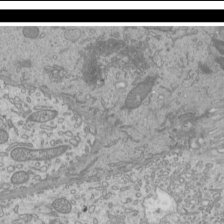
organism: Mouse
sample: Cilia; mouse epididymis